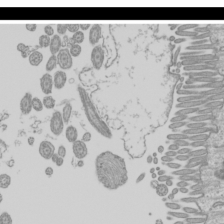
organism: Mouse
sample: Cilia; mouse epididymis